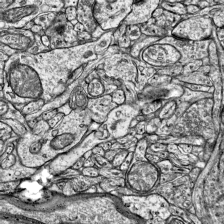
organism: Mouse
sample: Visual Cortex